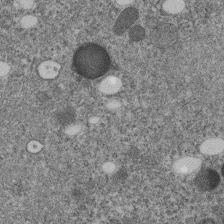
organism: C. elegans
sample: C. elegans embryo early stage